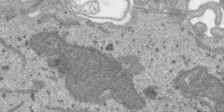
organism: Human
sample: Lung epithelial cells infected with SARS-CoV-2